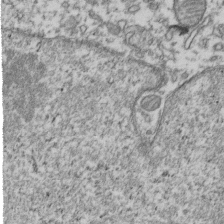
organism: Human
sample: Activated Jurkat CD4+ T cells